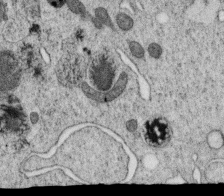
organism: C. elegans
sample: C. elegans oocyte; sperm cells